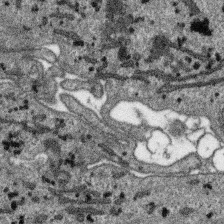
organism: Human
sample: Lung epithelial cells infected with SARS-CoV-2